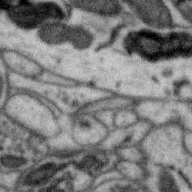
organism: Zebra finch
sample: Brain